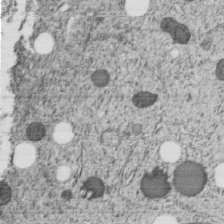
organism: C. elegans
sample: C. elegans embryo early stage